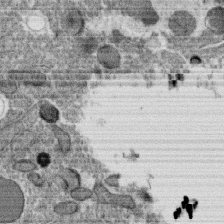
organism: C. elegans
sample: C. elegans oocyte; sperm cells